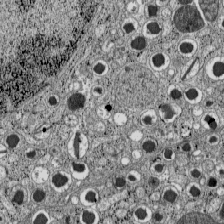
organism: C57BL Mouse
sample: Pancreatic islet